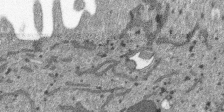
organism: Human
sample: Lung epithelial cells infected with SARS-CoV-2